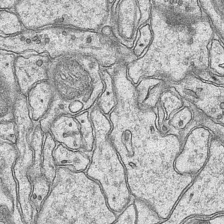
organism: Mouse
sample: CA1 Hippocampus